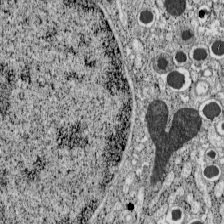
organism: C57BL Mouse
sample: Pancreatic islet